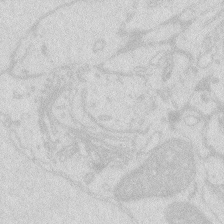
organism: Zebrafish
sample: Macrophage